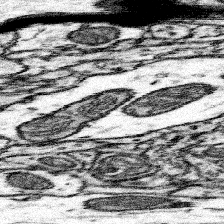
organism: Mouse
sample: Somatosensory cortex neuropil